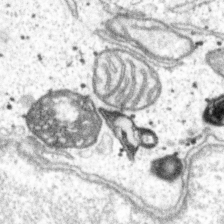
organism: Human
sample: HeLa cells